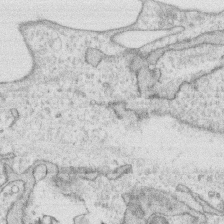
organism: Human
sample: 1205lu cells